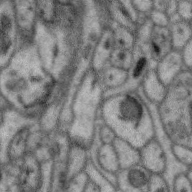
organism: Zebra finch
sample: Brain